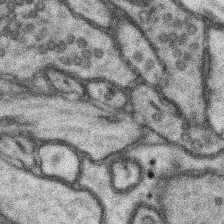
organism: Mouse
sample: Somatosensory cortex neuropil